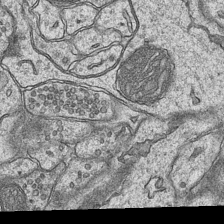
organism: Mouse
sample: CA1 Hippocampus